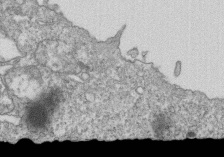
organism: Human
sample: HeLa cell HIV synapse